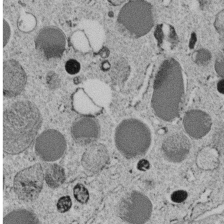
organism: C. elegans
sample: C. elegans embryo early stage